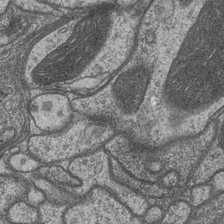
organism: Drosophila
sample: Optic medulla